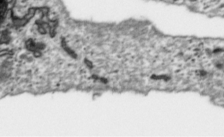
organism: Toxoplasma gondii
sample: Parasites in a vacuole inside a host cell